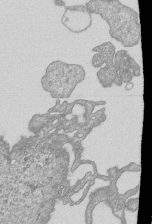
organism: Human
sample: MDA-MB-231 cells